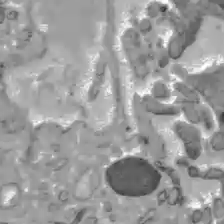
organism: C57BL Mouse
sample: Liver